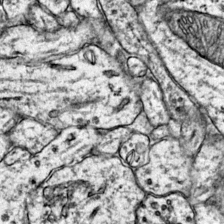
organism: Mouse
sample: Primary visual cortex